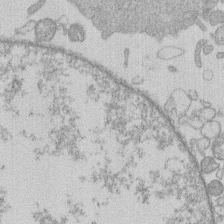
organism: Human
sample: Macrophage cells